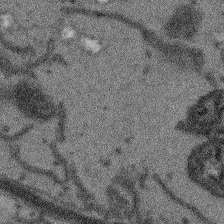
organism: Arabidopsis thaliana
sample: Root tip